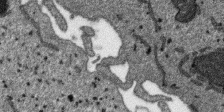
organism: Human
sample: Lung epithelial cells infected with SARS-CoV-2